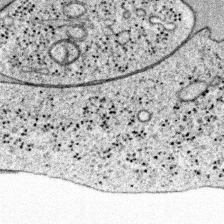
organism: Human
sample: HeLa cells